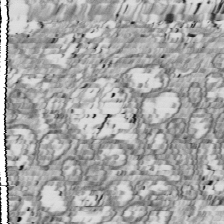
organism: Drosophila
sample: Cell division; meiosis; drosophila spermatocytes